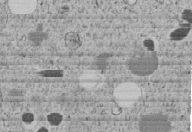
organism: C. elegans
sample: C. elegans embryo early stage